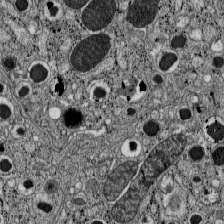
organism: C57BL Mouse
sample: Pancreatic islet